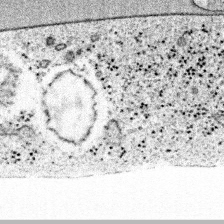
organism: Human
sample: HeLa cells